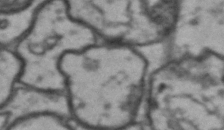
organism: Drosophila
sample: Brain